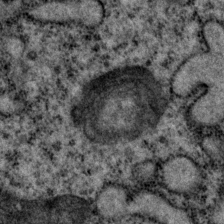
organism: P. pacificus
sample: Pharynx